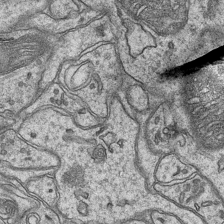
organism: Mouse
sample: CA1 Hippocampus